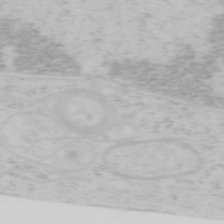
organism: Mouse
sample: OT-I killer T cells with ID8 ovarian cancer cells